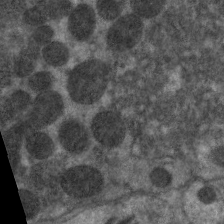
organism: C. elegans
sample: Pharynx